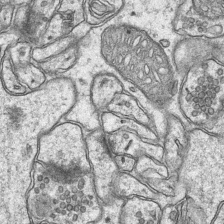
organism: Mouse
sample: CA1 Hippocampus